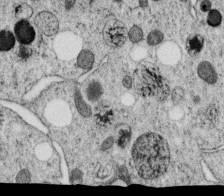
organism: C. elegans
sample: C. elegans oocyte; sperm cells